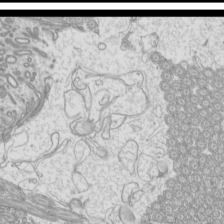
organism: Mouse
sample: Cilia; mouse epididymis